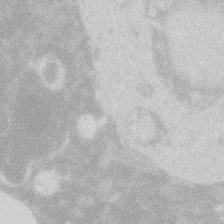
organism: Zebrafish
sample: Macrophage